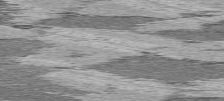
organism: C57BL Mouse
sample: Heart